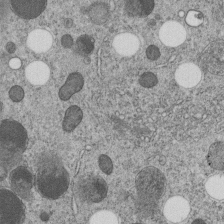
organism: C. elegans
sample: C. elegans embryo early stage